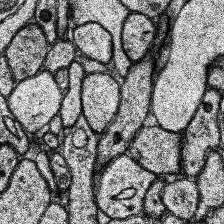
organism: Human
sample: Temporal Lobe